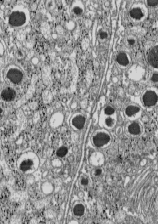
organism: C57BL Mouse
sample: Pancreatic islet